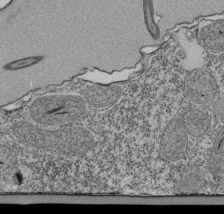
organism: Tetrahymena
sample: Cilia in tetrahymena